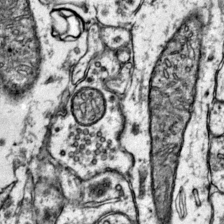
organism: Mouse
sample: Primary visual cortex